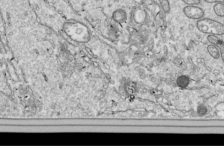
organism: Drosophila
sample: Cell division; meiosis; drosophila spermatocytes